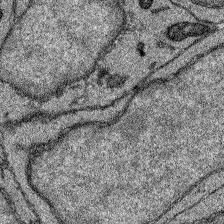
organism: Zebrafish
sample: Larval olfactory bulb